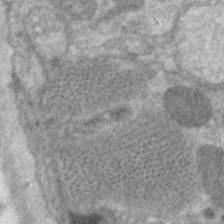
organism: C. elegans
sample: Pharynx